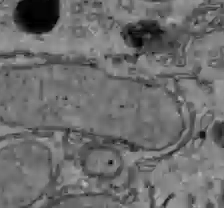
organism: C57BL Mouse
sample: Liver